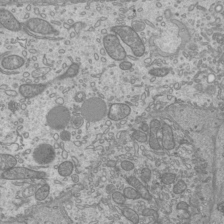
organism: Mouse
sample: Cilia; mouse epididymis